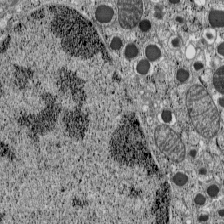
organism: C57BL Mouse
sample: Pancreatic islet